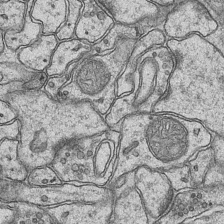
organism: Mouse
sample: CA1 Hippocampus